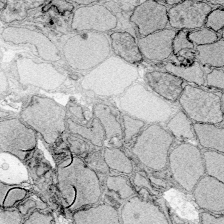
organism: Zebrafish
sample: Whole-Brain